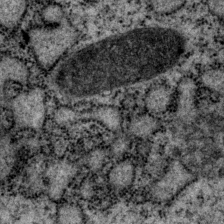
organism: P. pacificus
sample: Pharynx